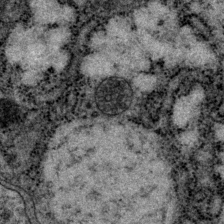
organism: P. pacificus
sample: Pharynx